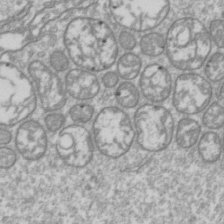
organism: Drosophila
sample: Cell division; meiosis; drosophila spermatocytes